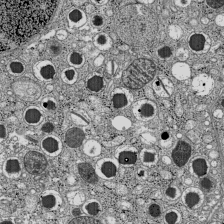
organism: C57BL Mouse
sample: Pancreatic islet